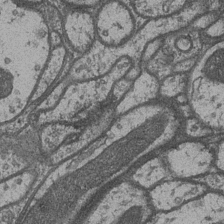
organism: Drosophila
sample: Optic medulla